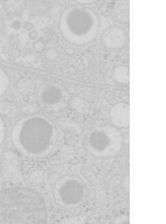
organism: Mouse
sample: Pancreas